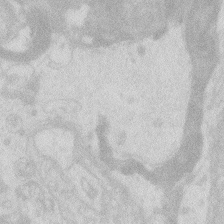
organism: Zebrafish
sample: Macrophage